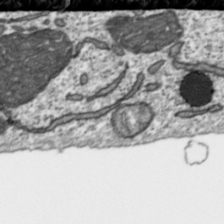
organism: Toxoplasma gondii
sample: Parasites in a vacuole inside a host cell